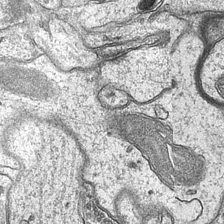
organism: Mouse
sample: CA1 Hippocampus